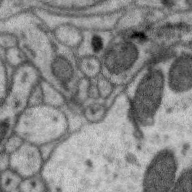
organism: Zebra finch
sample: Brain